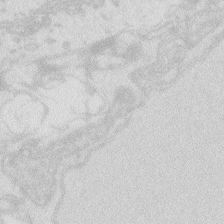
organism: Zebrafish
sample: Macrophage